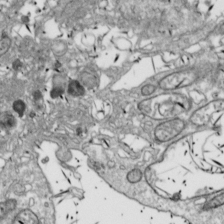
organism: Drosophila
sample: Cell division; meiosis; drosophila spermatocytes